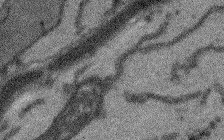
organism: Arabidopsis thaliana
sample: Root tip